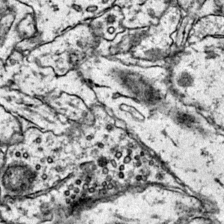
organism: Mouse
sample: Primary visual cortex